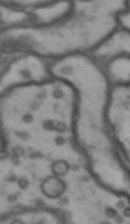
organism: Drosophila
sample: Brain